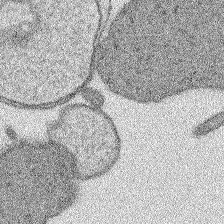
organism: Human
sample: HeLa cells